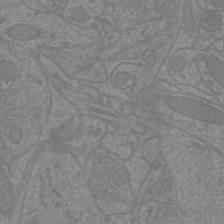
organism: Mouse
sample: Cortical neurons